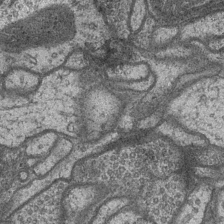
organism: Drosophila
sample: Optic medulla